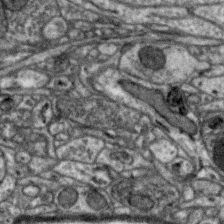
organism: Zebra finch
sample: Brain